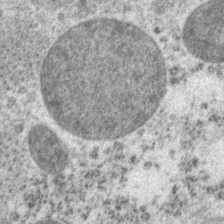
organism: P. pacificus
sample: Pharynx